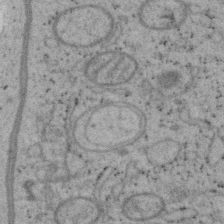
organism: Human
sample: HeLa cells